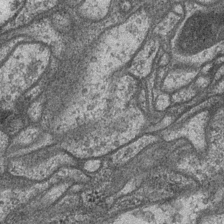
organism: Drosophila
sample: Optic medulla